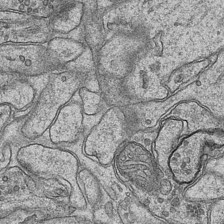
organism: Mouse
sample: CA1 Hippocampus